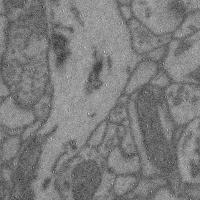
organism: Mouse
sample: Cerebral cortex